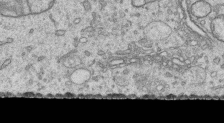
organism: Human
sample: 1205lu cells